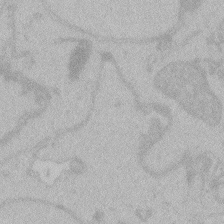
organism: Zebrafish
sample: Macrophage infected with Toxoplasma gondii